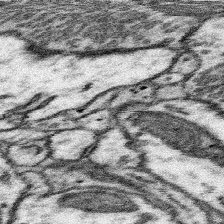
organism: Mouse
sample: Somatosensory cortex neuropil